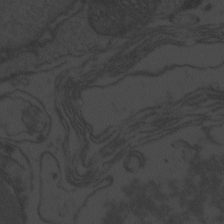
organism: Zebrafish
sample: Macrophage infected with Toxoplasma gondii